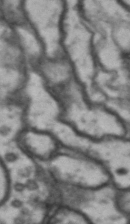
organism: Drosophila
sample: Brain